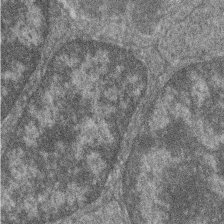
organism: Zebrafish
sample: Cilia; retinal pigment epithelium